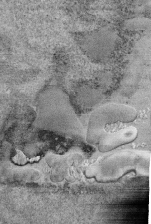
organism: Human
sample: Retinal organoid Rod and Cone cells